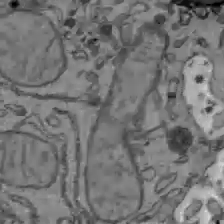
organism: C57BL Mouse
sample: Liver